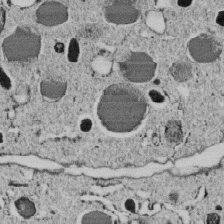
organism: C. elegans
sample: C. elegans embryo early stage